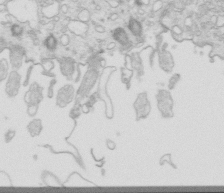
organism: Mouse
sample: Multiciliated cells